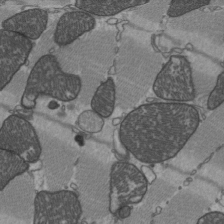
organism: C57BL Mouse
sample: Heart